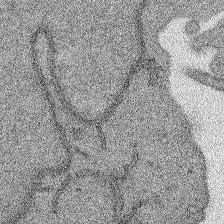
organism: Human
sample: HeLa cells